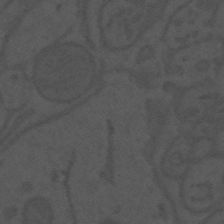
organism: Mouse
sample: Suprachiasmatic nucleus